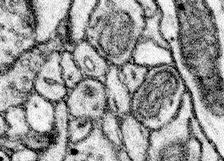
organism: Mouse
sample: Somatosensory cortex neuropil